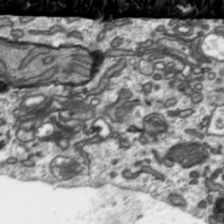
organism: Toxoplasma gondii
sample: Parasites in a vacuole inside a host cell